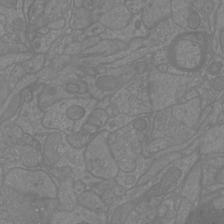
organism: Mouse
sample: Cortical neurons